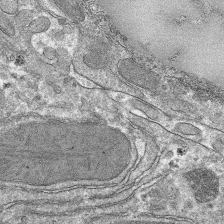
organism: Mouse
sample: Mouse hepatocytes